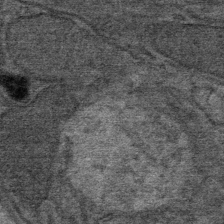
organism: Mouse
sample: Mouse Salivary gland